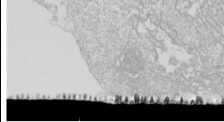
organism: Drosophila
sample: Cell division; meiosis; drosophila spermatocytes